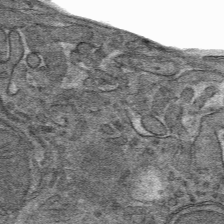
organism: Mouse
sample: Mouse hepatocytes